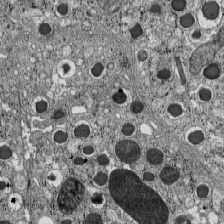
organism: C57BL Mouse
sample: Pancreatic islet